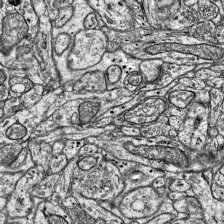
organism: Mouse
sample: Visual Cortex